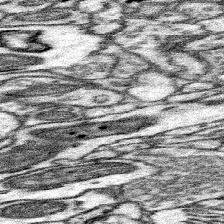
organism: Mouse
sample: Somatosensory cortex neuropil